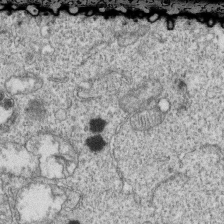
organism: Human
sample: HeLa cell HIV synapse